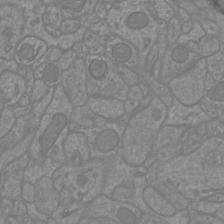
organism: Mouse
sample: Cortical neurons